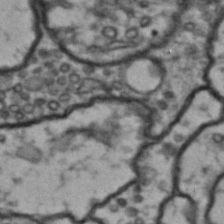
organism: Drosophila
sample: Brain